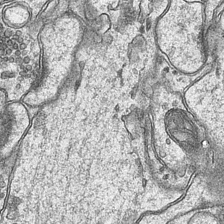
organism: Mouse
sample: CA1 Hippocampus